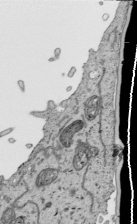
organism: Human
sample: Mitochondria in HCT116 cells